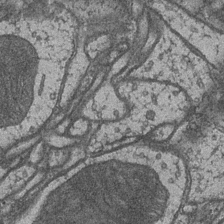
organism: Drosophila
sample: Optic medulla